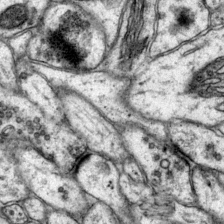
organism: Mouse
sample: Primary visual cortex